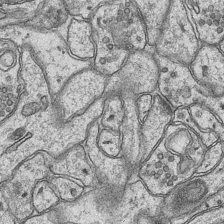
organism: Mouse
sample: CA1 Hippocampus